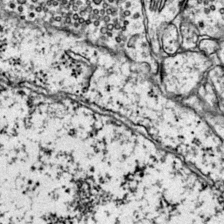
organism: Mouse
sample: Primary visual cortex